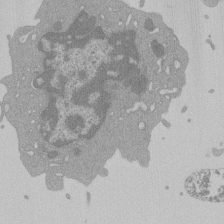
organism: Mouse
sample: Activated Pmel transgenic CD8+ T Cells